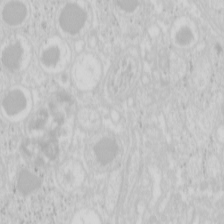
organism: Mouse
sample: Pancreas